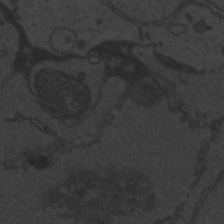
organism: Zebrafish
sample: Macrophage infected with Toxoplasma gondii